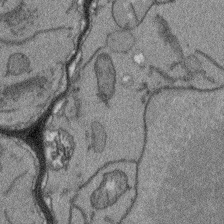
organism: Arabidopsis thaliana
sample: Root tip